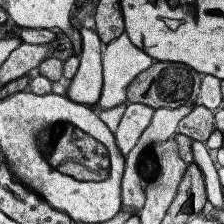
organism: Human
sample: Temporal Lobe